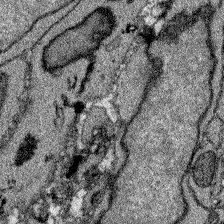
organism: Zebrafish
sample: Larval olfactory bulb